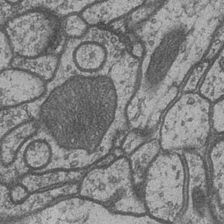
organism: Drosophila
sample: Optic medulla